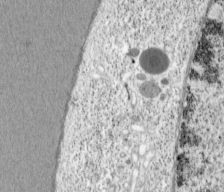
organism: African green monkey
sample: COS-7 cells